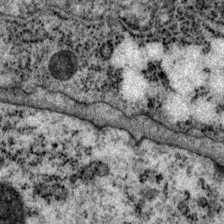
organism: P. pacificus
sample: Pharynx